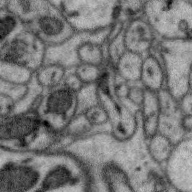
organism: Zebra finch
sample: Brain